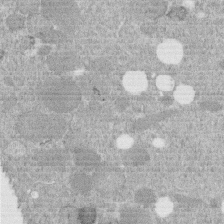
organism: C. elegans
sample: C. elegans embryo early stage